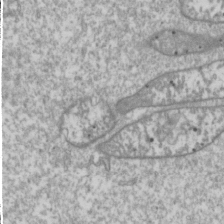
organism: Drosophila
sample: Cell division; meiosis; drosophila spermatocytes